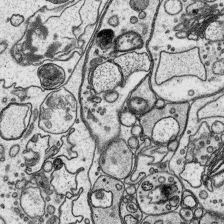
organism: Platynereis dumerilii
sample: Parapodia